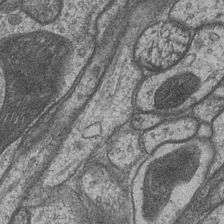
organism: Drosophila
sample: Optic medulla